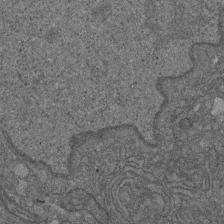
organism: Drosophila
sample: Nephrocyte